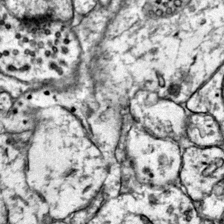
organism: Mouse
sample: Primary visual cortex